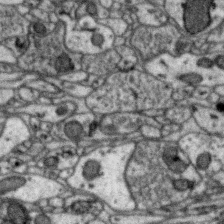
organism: Zebra finch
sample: Brain